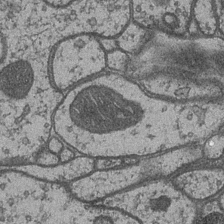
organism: Drosophila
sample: Optic medulla